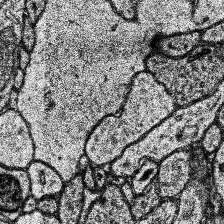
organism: Human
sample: Temporal Lobe